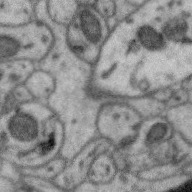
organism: Zebra finch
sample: Brain